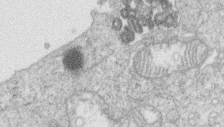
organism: Human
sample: HeLa cell HIV synapse